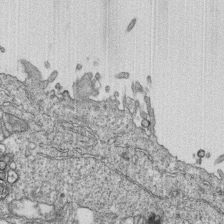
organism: Human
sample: HeLa cell HIV synapse